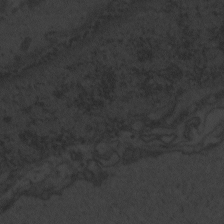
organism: Zebrafish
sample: Macrophage infected with Toxoplasma gondii